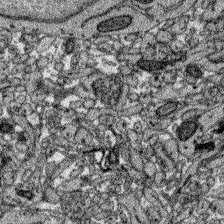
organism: Zebrafish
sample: Larval olfactory bulb